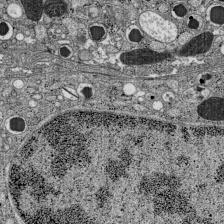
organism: C57BL Mouse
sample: Pancreatic islet